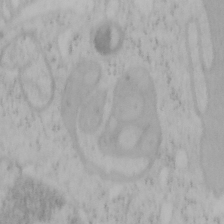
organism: Mouse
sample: OT-I killer T cells with ID8 ovarian cancer cells